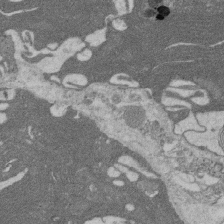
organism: Rat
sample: Salivary granule